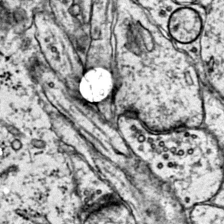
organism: Mouse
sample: Primary visual cortex